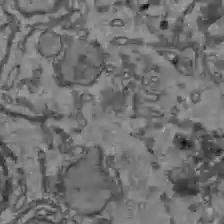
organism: C57BL Mouse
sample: Liver